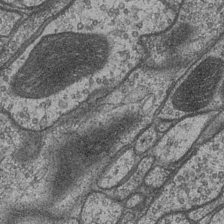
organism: Drosophila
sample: Optic medulla